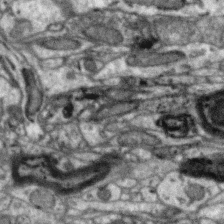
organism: Zebra finch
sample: Brain